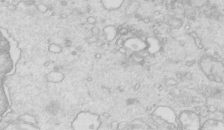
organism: Mouse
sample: Multiciliated cells